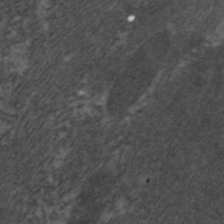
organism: C. elegans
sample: Pharynx